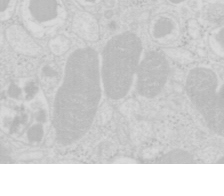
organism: Mouse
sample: Pancreas